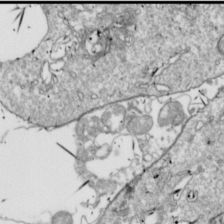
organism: Drosophila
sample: Cell division; meiosis; drosophila spermatocytes